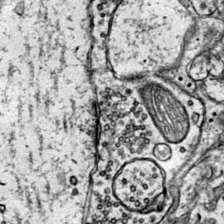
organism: Mouse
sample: Primary visual cortex